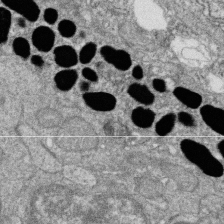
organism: Zebrafish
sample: Cilia; retinal pigment epithelium